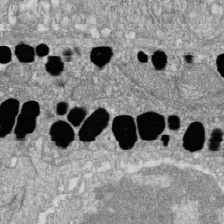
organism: Zebrafish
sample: Cilia; retinal pigment epithelium